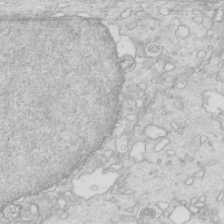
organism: Mouse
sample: Multiciliated cells